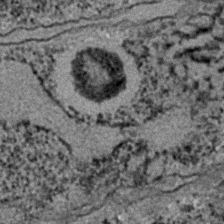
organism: C. elegans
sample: C. elegans embryo